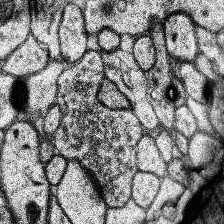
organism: Human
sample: Temporal Lobe